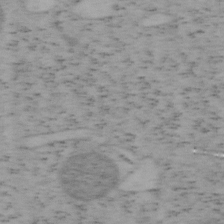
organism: Mouse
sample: OT-I killer T cells with ID8 ovarian cancer cells